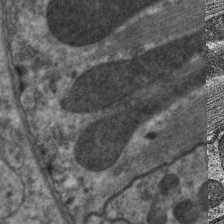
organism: C. elegans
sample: Pharynx